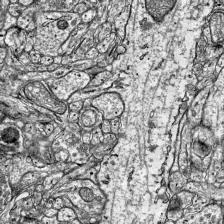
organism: Mouse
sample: Visual Cortex